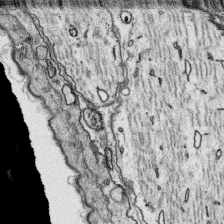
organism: Platynereis dumerilii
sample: Parapodia